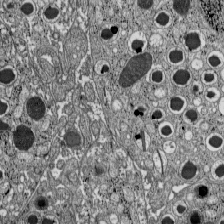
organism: C57BL Mouse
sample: Pancreatic islet